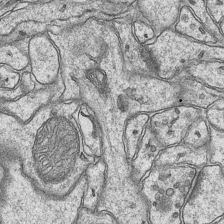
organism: Mouse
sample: CA1 Hippocampus